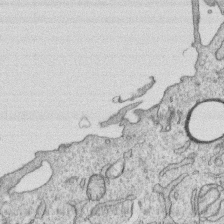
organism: Human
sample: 1205lu cells